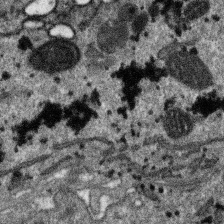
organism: Human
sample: Lung epithelial cells infected with SARS-CoV-2